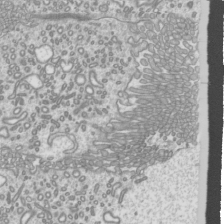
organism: Mouse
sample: Cilia; mouse epididymis